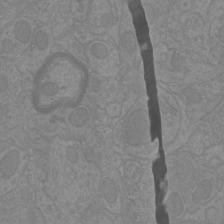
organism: Mouse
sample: Cortical neurons